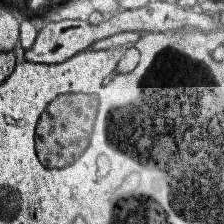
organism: Human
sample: Temporal Lobe